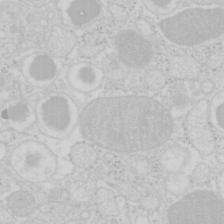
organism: Mouse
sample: Pancreas